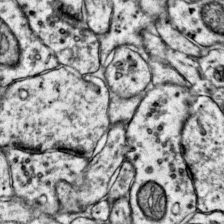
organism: Mouse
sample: Primary visual cortex